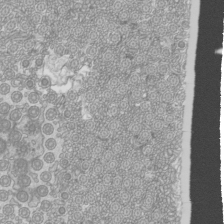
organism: Mouse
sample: Cilia; mouse epididymis